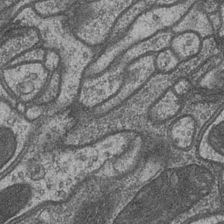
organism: Drosophila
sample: Optic medulla